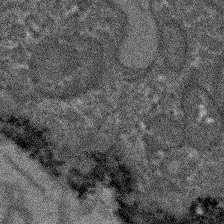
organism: Arabidopsis thaliana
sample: Root tip